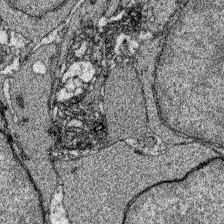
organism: Zebrafish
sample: Larval olfactory bulb